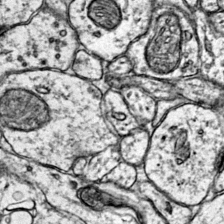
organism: Mouse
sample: Primary visual cortex